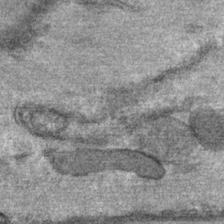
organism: Mouse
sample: Mouse Salivary gland